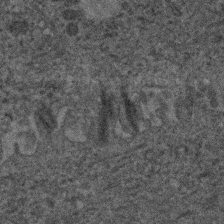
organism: Human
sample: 1205lu cells